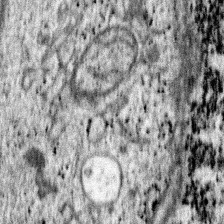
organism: Human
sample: HeLa cells